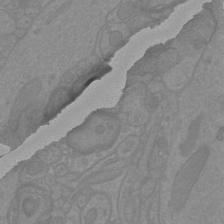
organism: Mouse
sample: Cortical neurons